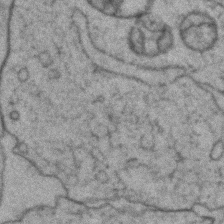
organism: Zebrafish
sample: Zebrafish embryo